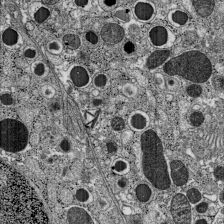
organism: C57BL Mouse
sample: Pancreatic islet